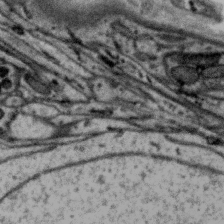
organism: Zebra finch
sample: Brain